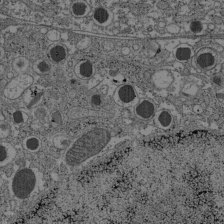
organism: C57BL Mouse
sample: Pancreatic islet